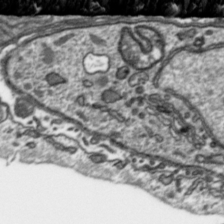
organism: Toxoplasma gondii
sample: Parasites in a vacuole inside a host cell